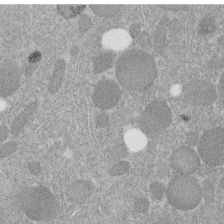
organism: C. elegans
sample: C. elegans embryo early stage